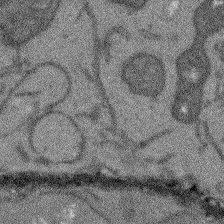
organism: Arabidopsis thaliana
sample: Root tip